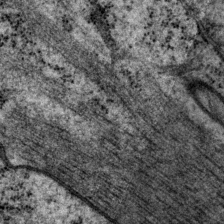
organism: P. pacificus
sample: Pharynx